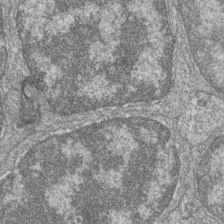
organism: Zebrafish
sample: Cilia; retinal pigment epithelium